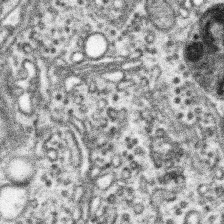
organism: Human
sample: HeLa cells